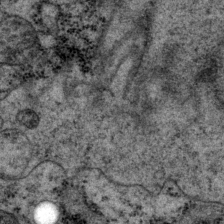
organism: P. pacificus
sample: Pharynx